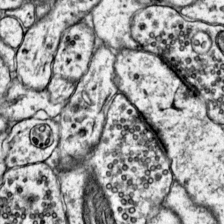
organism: Mouse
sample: Primary visual cortex